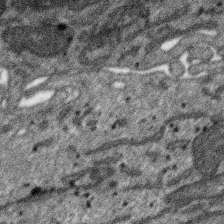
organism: Human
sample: Lung epithelial cells infected with SARS-CoV-2